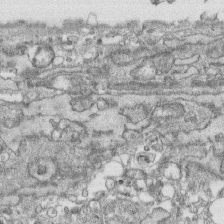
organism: Human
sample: CRL-1474